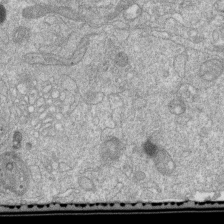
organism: Human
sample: HeLa cell HIV synapse